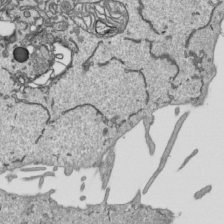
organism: Human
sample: Mitochondria in HCT116 cells